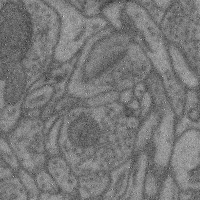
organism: Mouse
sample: Cerebral cortex